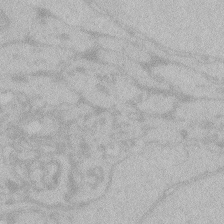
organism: Zebrafish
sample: Macrophage infected with Toxoplasma gondii